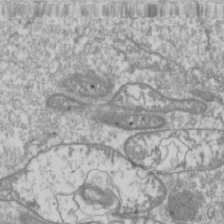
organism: Drosophila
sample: Cell division; meiosis; drosophila spermatocytes